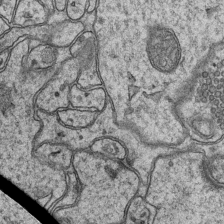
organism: Mouse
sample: CA1 Hippocampus